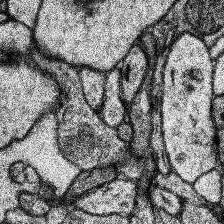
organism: Human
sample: Temporal Lobe